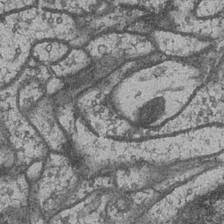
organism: Drosophila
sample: Optic medulla